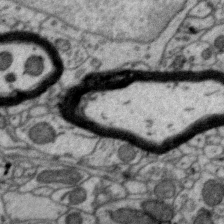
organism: Zebra finch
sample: Brain